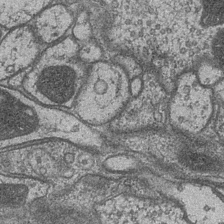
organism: Drosophila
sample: Optic medulla